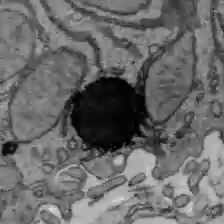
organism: C57BL Mouse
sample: Liver